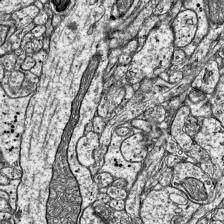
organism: Mouse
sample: Visual Cortex